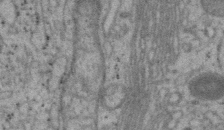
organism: Human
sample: HeLa cells